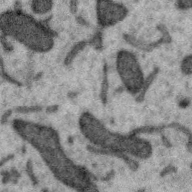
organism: Zebra finch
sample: Brain